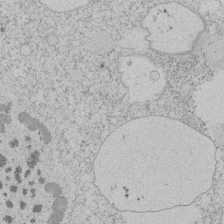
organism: Tetrahymena